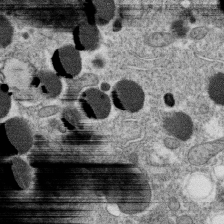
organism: C. elegans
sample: C. elegans oocyte; sperm cells